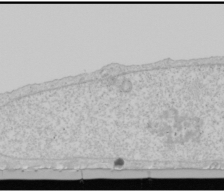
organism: Human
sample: Mitochondria in U2OS cells